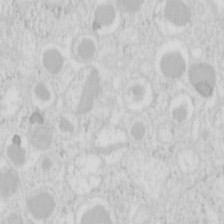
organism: Mouse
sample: Pancreas